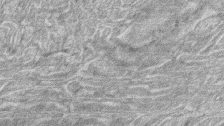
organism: Zebrafish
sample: synaptic ribbons in rod cells and cone cells